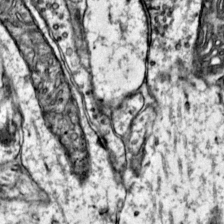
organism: Mouse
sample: Primary visual cortex